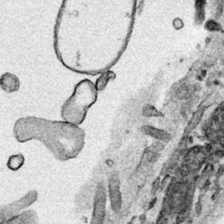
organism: Human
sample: Mitochondria in HCT116 cells